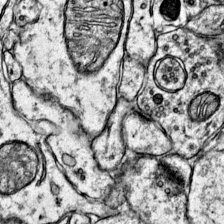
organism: Mouse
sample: Primary visual cortex